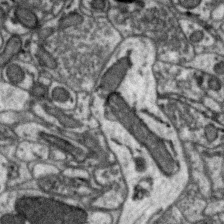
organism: Zebra finch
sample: Brain